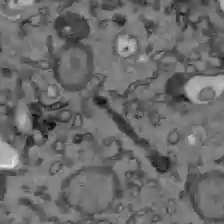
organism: C57BL Mouse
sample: Liver